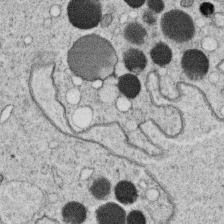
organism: C. elegans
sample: C. elegans oocyte; sperm cells